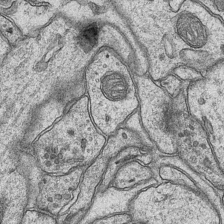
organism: Mouse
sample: CA1 Hippocampus